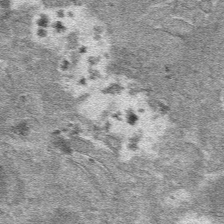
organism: Mouse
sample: Mouse hepatocytes